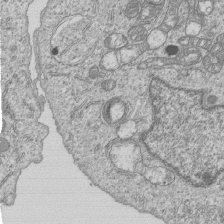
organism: Human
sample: MDA-MB-231 cells